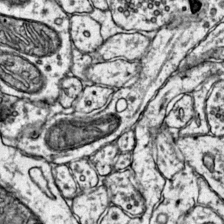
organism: Mouse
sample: Primary visual cortex